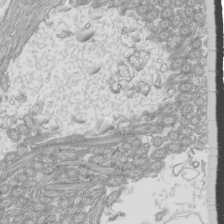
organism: Mouse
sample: Cilia; mouse epididymis